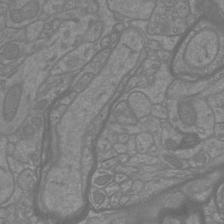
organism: Mouse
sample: Cortical neurons